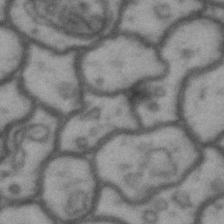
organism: Drosophila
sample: Brain